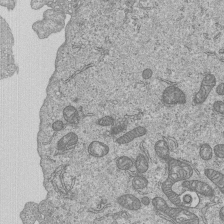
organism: Human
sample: MDA-MB-231 cells